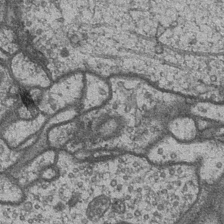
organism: Drosophila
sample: Optic medulla